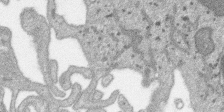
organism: Human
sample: Lung epithelial cells infected with SARS-CoV-2